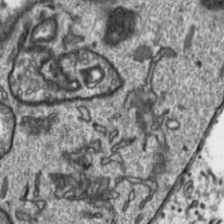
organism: Toxoplasma gondii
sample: Parasites in a vacuole inside a host cell